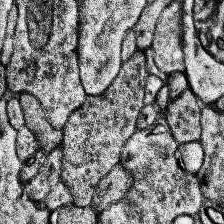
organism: Human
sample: Temporal Lobe